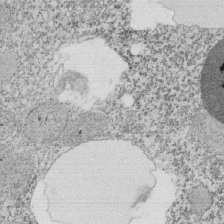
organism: Tetrahymena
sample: Cilia in tetrahymena